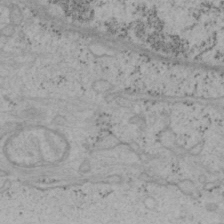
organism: Human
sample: HeLa cells